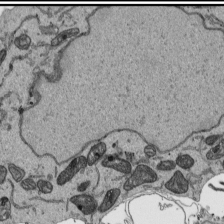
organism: Human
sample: Mitochondria in HCT116 cells